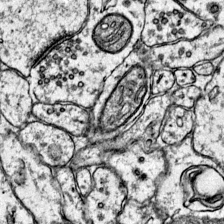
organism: Mouse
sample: Primary visual cortex